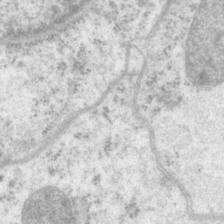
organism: P. pacificus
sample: Pharynx